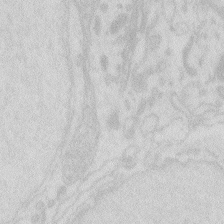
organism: Zebrafish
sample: Macrophage